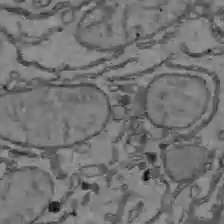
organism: C57BL Mouse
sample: Liver